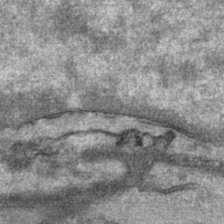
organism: Mouse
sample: Mouse Salivary gland